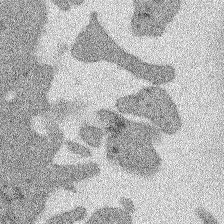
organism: Human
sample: HeLa cells